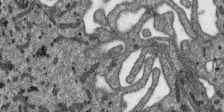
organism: Human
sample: Lung epithelial cells infected with SARS-CoV-2